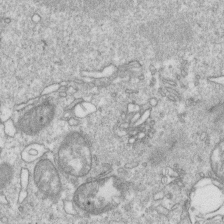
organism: Mouse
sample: Activated OT-1 CD8+ T cells